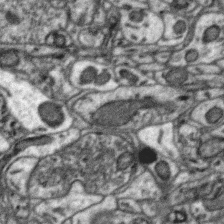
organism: Zebra finch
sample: Brain